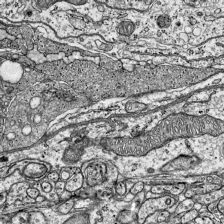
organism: Mouse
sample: Visual Cortex